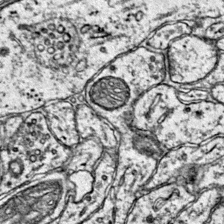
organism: Mouse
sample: Primary visual cortex